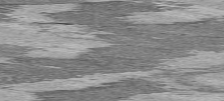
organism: C57BL Mouse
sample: Heart